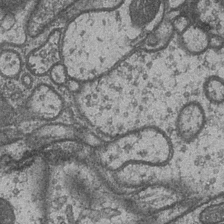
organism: Drosophila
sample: Optic medulla